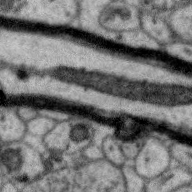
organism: Zebra finch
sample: Brain